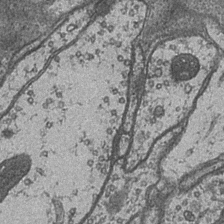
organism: Drosophila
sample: Optic medulla